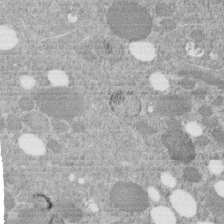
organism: C. elegans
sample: C. elegans embryo early stage